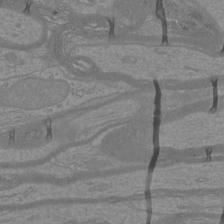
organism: Mouse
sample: Cortical neurons